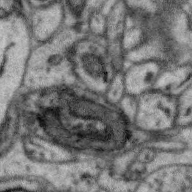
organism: Zebra finch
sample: Brain